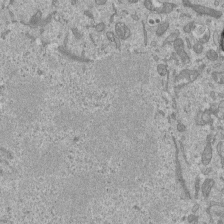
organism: Mouse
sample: ED-1 cell nuclei; centrioles